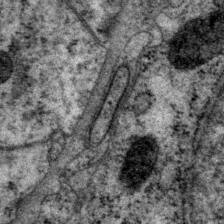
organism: P. pacificus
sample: Pharynx